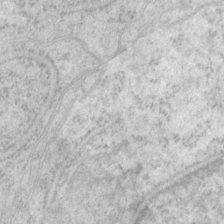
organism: P. pacificus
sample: Pharynx